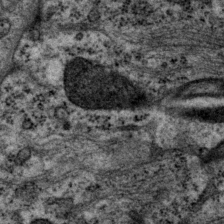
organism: P. pacificus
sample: Pharynx